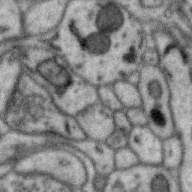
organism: Zebra finch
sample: Brain